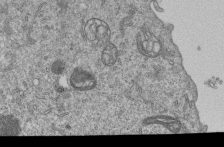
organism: Human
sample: MDA-MB-231 cells